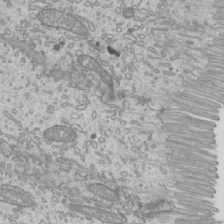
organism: Mouse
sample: Cilia; mouse epididymis